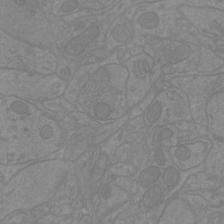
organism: Mouse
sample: Cortical neurons